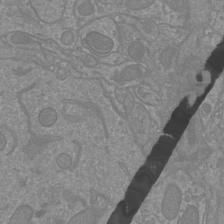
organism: Mouse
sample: Cortical neurons